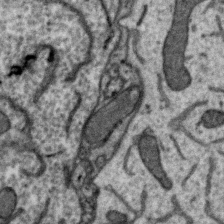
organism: Zebra finch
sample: Brain